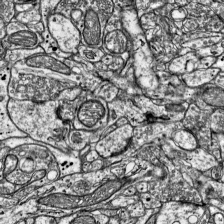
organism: Mouse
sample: Visual Cortex